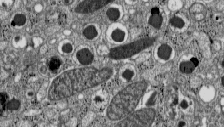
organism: C57BL Mouse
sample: Pancreatic islet